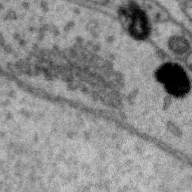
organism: Zebra finch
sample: Brain